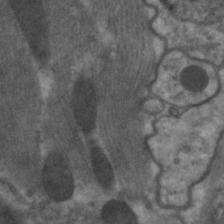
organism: C. elegans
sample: Pharynx